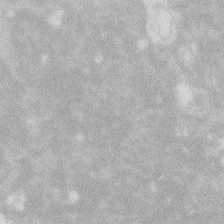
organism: Zebrafish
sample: Macrophage